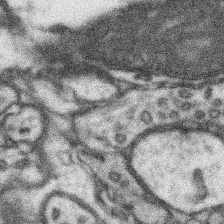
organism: Mouse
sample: Somatosensory cortex neuropil